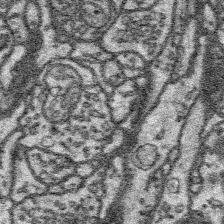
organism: Platynereis dumerilii